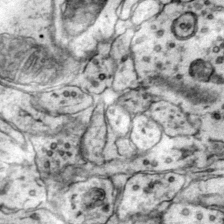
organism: Mouse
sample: Primary visual cortex